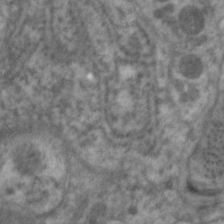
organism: C. elegans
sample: Pharynx